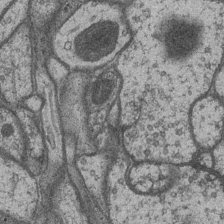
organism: Drosophila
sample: Optic medulla